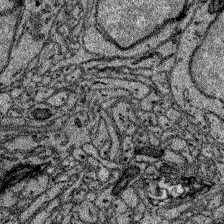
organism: Zebrafish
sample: Larval olfactory bulb